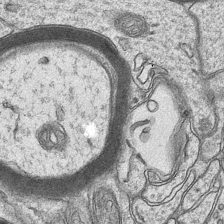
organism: Mouse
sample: CA1 Hippocampus